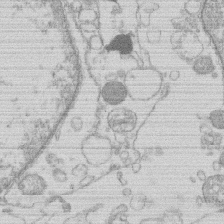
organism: Human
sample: Macrophage cells